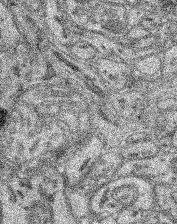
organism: Mouse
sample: Retina